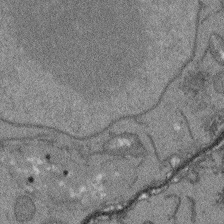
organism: Arabidopsis thaliana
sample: Root tip